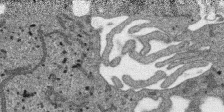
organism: Human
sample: Lung epithelial cells infected with SARS-CoV-2